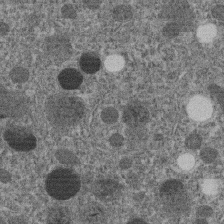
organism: C. elegans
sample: C. elegans embryo early stage